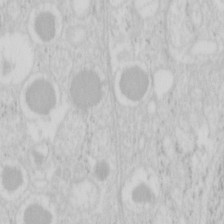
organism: Mouse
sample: Pancreas